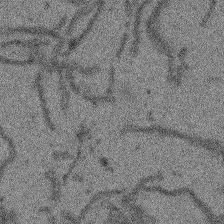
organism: Arabidopsis thaliana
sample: Root tip